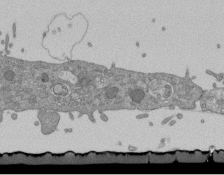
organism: Mouse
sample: ED-1 cell nuclei; centrioles